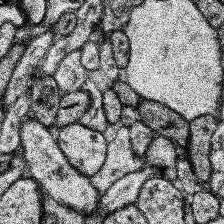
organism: Human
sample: Temporal Lobe